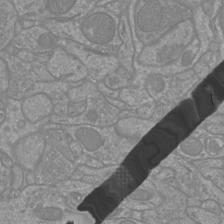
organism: Mouse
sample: Cortical neurons